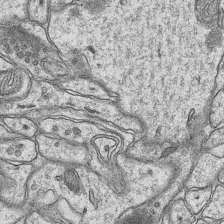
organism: Mouse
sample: CA1 Hippocampus